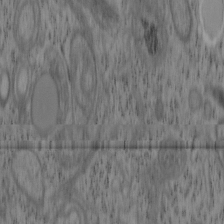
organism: Human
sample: HeLa cells